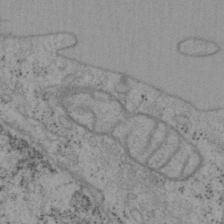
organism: Human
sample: HeLa cells